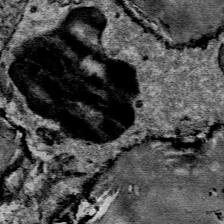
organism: Mouse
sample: Mouse Salivary gland